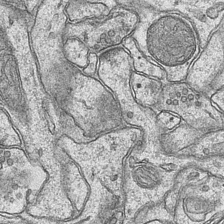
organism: Mouse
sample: CA1 Hippocampus